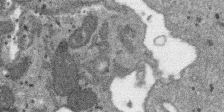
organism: Human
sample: Lung epithelial cells infected with SARS-CoV-2